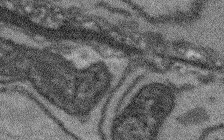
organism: Arabidopsis thaliana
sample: Root tip